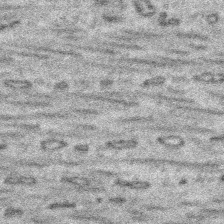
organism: Platynereis dumerilii